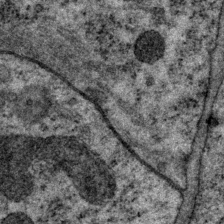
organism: P. pacificus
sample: Pharynx